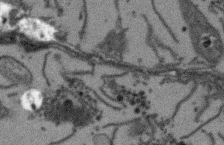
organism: Arabidopsis thaliana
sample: Root tip